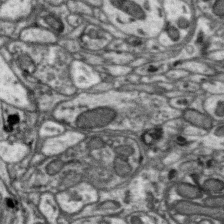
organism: Zebra finch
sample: Brain